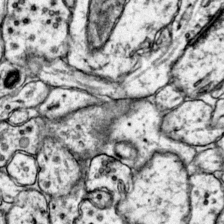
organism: Mouse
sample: Primary visual cortex